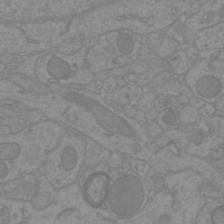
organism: Mouse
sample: Cortical neurons